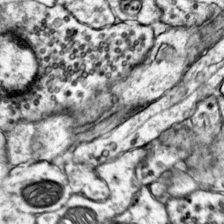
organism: Mouse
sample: Primary visual cortex